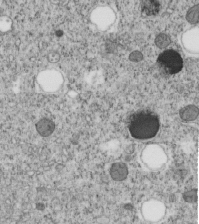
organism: C. elegans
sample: C. elegans embryo early stage